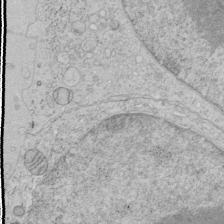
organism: Human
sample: Mitochondria in HCT116 cells